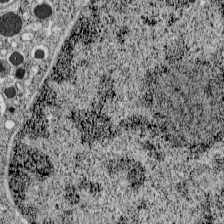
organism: C57BL Mouse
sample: Pancreatic islet